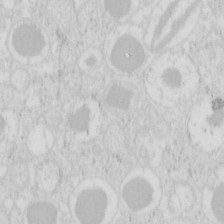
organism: Mouse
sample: Pancreas